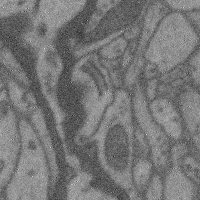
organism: Mouse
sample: Cerebral cortex